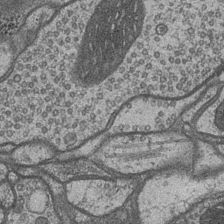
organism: Drosophila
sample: Optic medulla